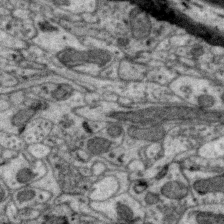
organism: Zebra finch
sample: Brain